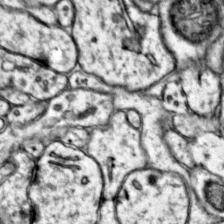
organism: Mouse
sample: Primary visual cortex